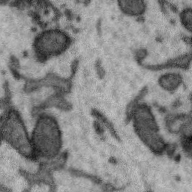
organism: Zebra finch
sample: Brain